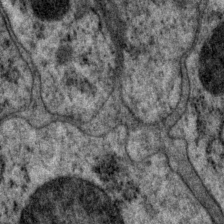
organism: P. pacificus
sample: Pharynx